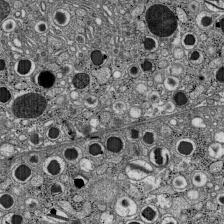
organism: C57BL Mouse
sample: Pancreatic islet